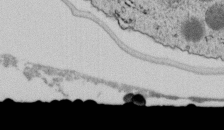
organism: C. elegans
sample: C. elegans embryo early stage